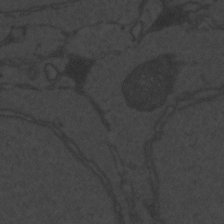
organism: Zebrafish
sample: Macrophage infected with Toxoplasma gondii